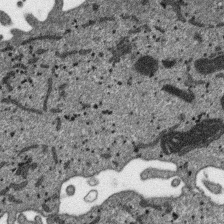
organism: Human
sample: Lung epithelial cells infected with SARS-CoV-2